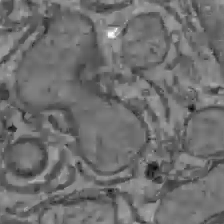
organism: C57BL Mouse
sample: Liver